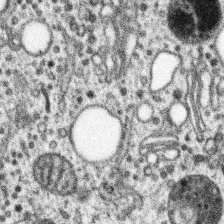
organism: Human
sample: HeLa cells